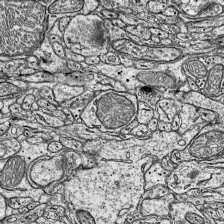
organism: Mouse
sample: Visual Cortex